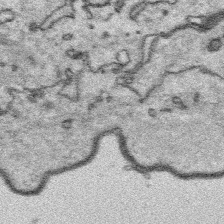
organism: Platynereis dumerilii